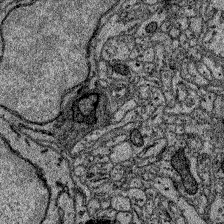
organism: Zebrafish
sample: Larval olfactory bulb